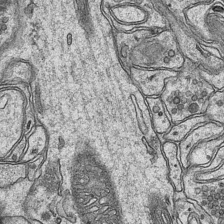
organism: Mouse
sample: CA1 Hippocampus